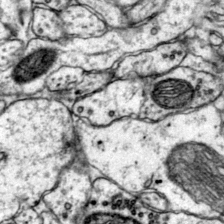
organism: Mouse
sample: Primary visual cortex